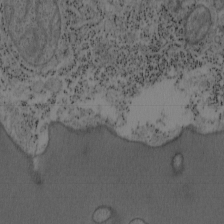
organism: Mouse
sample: OT-I killer T cells with ID8 ovarian cancer cells